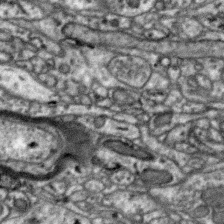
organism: Zebra finch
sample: Brain